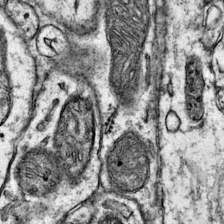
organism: Mouse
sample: Primary visual cortex